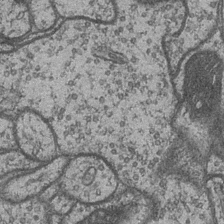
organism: Drosophila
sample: Optic medulla